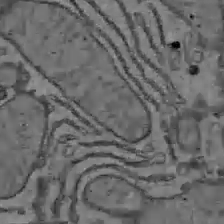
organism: C57BL Mouse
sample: Liver